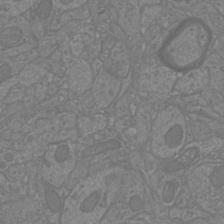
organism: Mouse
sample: Cortical neurons